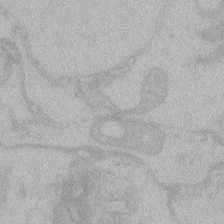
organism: Zebrafish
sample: Macrophage infected with Toxoplasma gondii